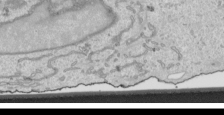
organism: Human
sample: Mitochondria in HCT116 cells